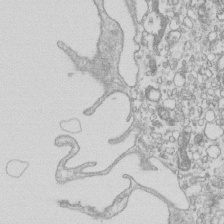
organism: Mouse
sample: Macrophages